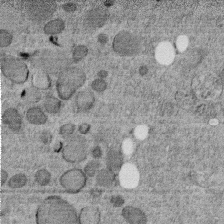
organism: C. elegans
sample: C. elegans embryo early stage